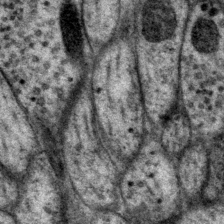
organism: P. pacificus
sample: Pharynx